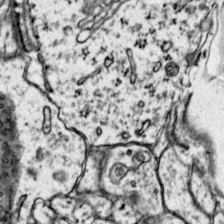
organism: Mouse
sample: Primary visual cortex